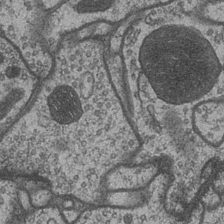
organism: Drosophila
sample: Optic medulla